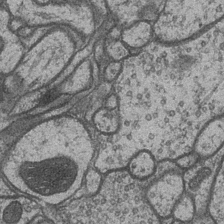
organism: Drosophila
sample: Optic medulla